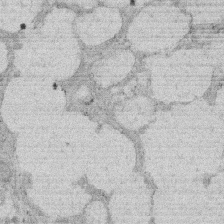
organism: Rat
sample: Salivary granule